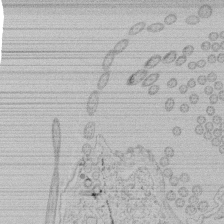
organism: Tetrahymena